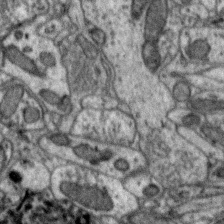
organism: Zebra finch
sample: Brain